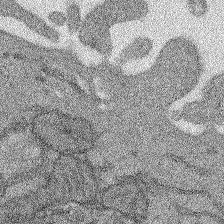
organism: Human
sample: HeLa cells